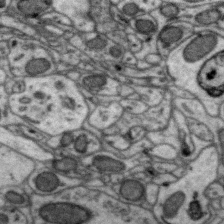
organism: Zebra finch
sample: Brain